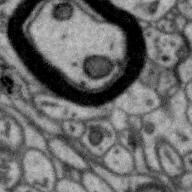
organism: Zebra finch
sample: Brain